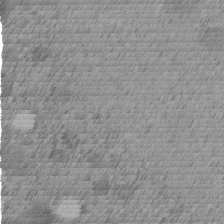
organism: C. elegans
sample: C. elegans embryo early stage